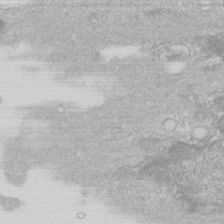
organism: Human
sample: Fibroblast cells